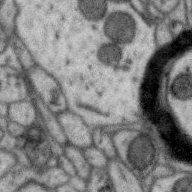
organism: Zebra finch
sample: Brain